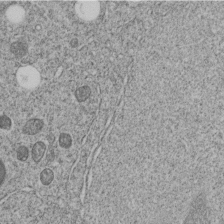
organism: C. elegans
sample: C. elegans embryo early stage